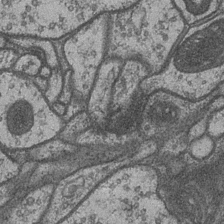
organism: Drosophila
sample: Optic medulla